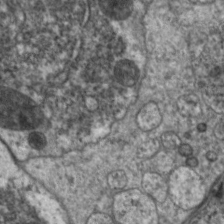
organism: C. elegans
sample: Pharynx